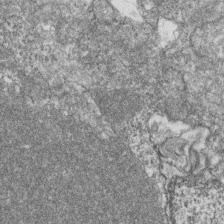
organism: Zebrafish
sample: Cilia; retinal pigment epithelium